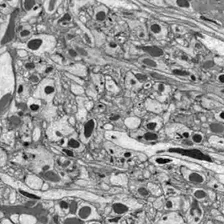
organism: Drosophila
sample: Optic lobe